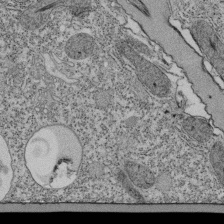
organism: Tetrahymena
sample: Cilia in tetrahymena